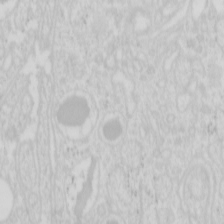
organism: Mouse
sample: Pancreas